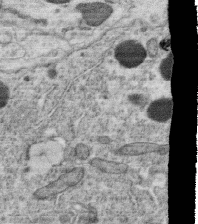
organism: C. elegans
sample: C. elegans oocyte; sperm cells